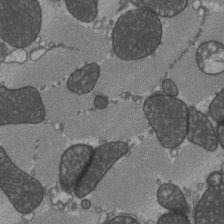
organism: C57BL Mouse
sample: Heart